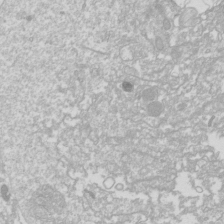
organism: Drosophila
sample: Cell division; meiosis; drosophila spermatocytes